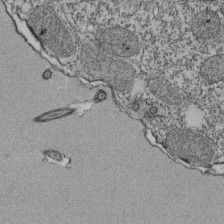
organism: Tetrahymena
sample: Cilia in tetrahymena